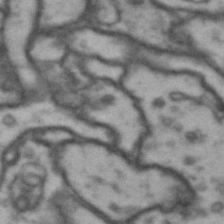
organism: Drosophila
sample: Brain